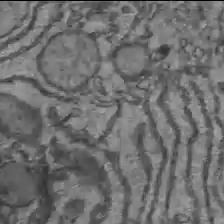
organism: C57BL Mouse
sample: Liver